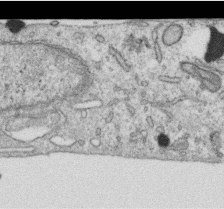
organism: Human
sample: Centriole in RPE cells